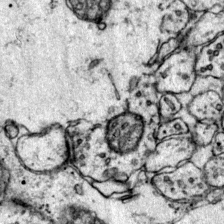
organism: Mouse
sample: Primary visual cortex